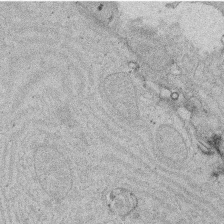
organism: Rat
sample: Salivary granule